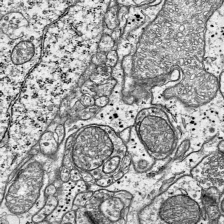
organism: Mouse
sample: Visual Cortex